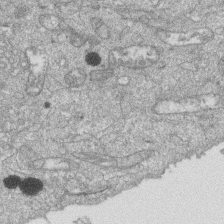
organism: Human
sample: HeLa cell HIV synapse